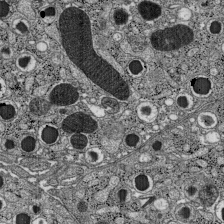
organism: C57BL Mouse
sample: Pancreatic islet